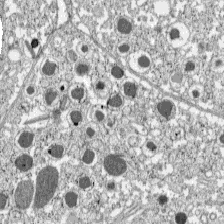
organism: C57BL Mouse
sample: Pancreatic islet